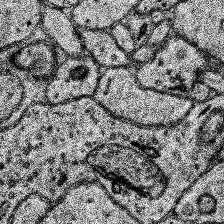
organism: Human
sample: Temporal Lobe